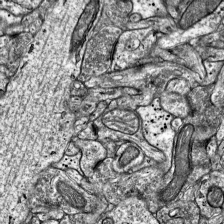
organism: Mouse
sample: Visual Cortex